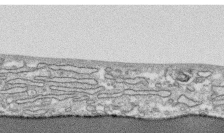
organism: Human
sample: CRL-1474